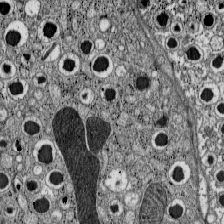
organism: C57BL Mouse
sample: Pancreatic islet